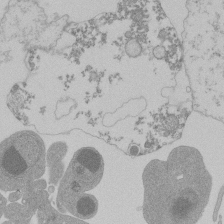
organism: Mouse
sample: Activated Pmel transgenic CD8+ T Cells